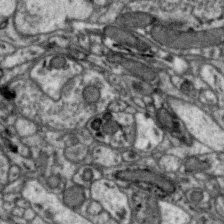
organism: Zebra finch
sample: Brain